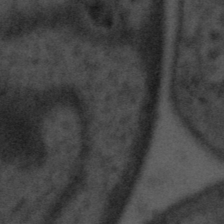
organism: Tuwongella immobilis